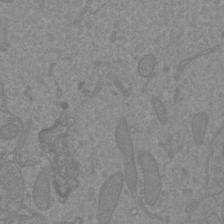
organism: Mouse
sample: Cortical neurons